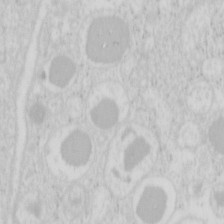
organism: Mouse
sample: Pancreas